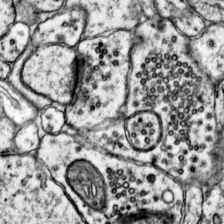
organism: Mouse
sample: Primary visual cortex